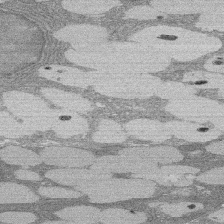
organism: Rat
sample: Salivary granule